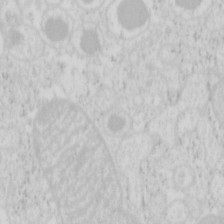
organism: Mouse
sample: Pancreas